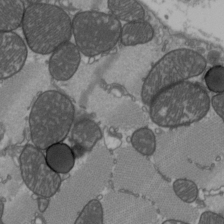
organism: C57BL Mouse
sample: Heart